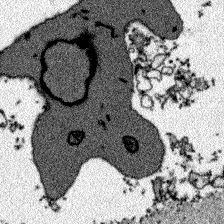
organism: Zebrafish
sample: Larval olfactory bulb